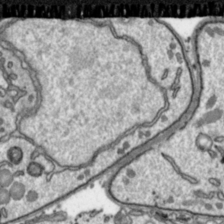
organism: Toxoplasma gondii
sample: Parasites in a vacuole inside a host cell